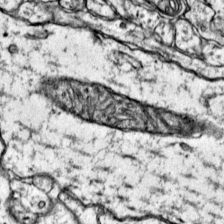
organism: Mouse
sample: Primary visual cortex